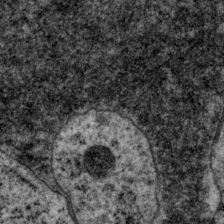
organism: P. pacificus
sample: Pharynx